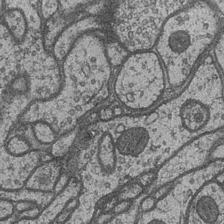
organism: Drosophila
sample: Optic medulla